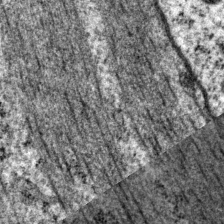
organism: P. pacificus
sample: Pharynx